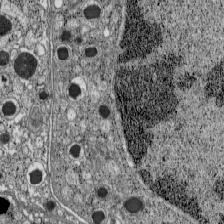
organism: C57BL Mouse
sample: Pancreatic islet